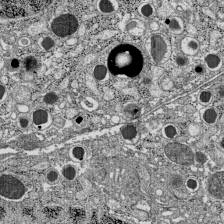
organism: C57BL Mouse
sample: Pancreatic islet